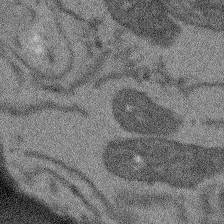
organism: Arabidopsis thaliana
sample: Root tip